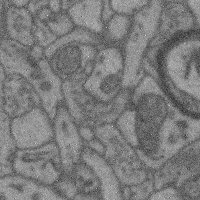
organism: Mouse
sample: Cerebral cortex